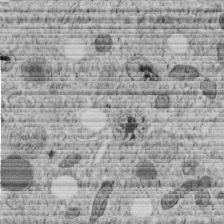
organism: C. elegans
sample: C. elegans embryo early stage